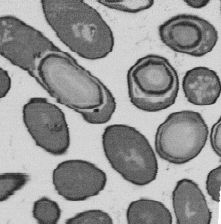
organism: B. subtilis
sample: Bacterial spore